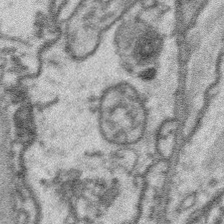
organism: Platynereis dumerilii